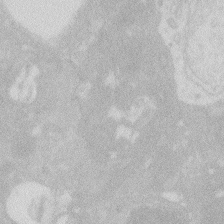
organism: Zebrafish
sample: Macrophage